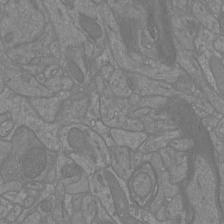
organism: Mouse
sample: Cortical neurons